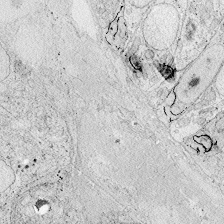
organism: Zebrafish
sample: Whole-Brain